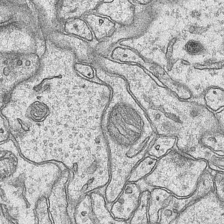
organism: Mouse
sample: CA1 Hippocampus